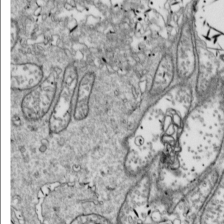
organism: Drosophila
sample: Cell division; meiosis; drosophila spermatocytes